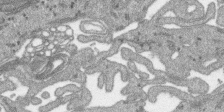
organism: Human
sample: Lung epithelial cells infected with SARS-CoV-2